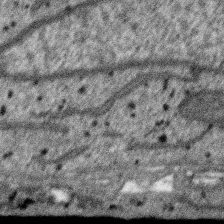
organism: Human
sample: Lung epithelial cells infected with SARS-CoV-2